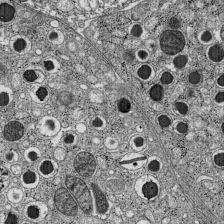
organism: C57BL Mouse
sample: Pancreatic islet